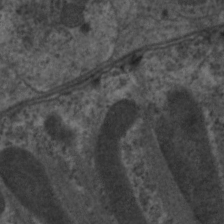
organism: C. elegans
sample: Pharynx